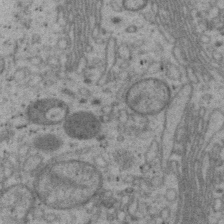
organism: Human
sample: HeLa cells